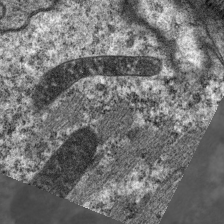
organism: C. elegans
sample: Pharynx